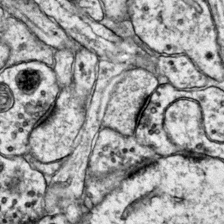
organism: Mouse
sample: Primary visual cortex